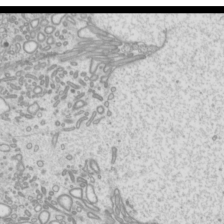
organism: Mouse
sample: Cilia; mouse epididymis